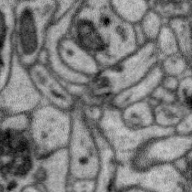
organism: Zebra finch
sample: Brain